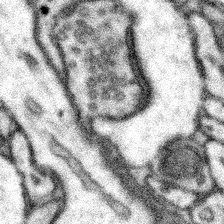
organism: Mouse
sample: Somatosensory cortex neuropil